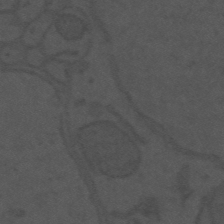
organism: Mouse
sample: Suprachiasmatic nucleus